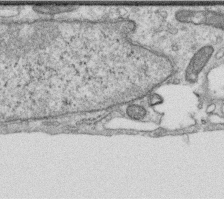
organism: Human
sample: Centriole in RPE cells